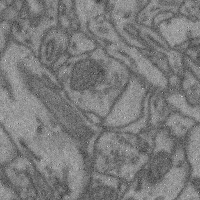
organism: Mouse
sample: Cerebral cortex